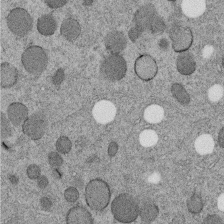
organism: C. elegans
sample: C. elegans embryo early stage